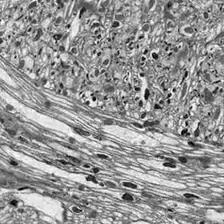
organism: Drosophila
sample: Optic lobe